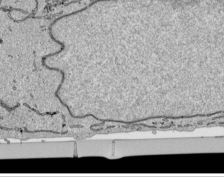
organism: Human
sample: Mitochondria in HCT116 cells